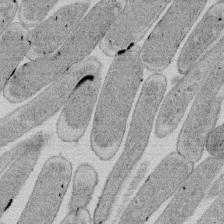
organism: E. coli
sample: Bacterial nucleoid